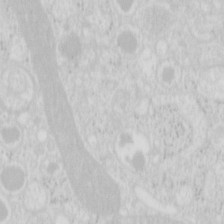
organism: Mouse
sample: Pancreas